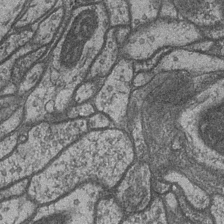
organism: Drosophila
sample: Optic medulla